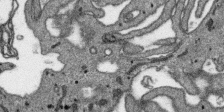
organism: Human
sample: Lung epithelial cells, uninfected (mock) control